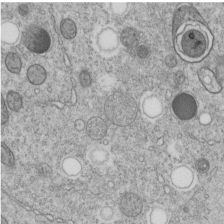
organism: C. elegans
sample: C. elegans embryo early stage